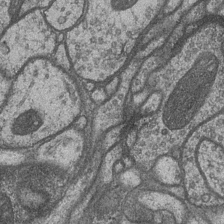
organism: Drosophila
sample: Optic medulla